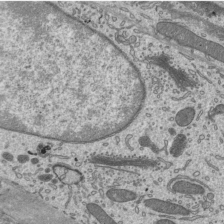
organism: Mouse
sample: Mouse epididymis efferent ductule cilia